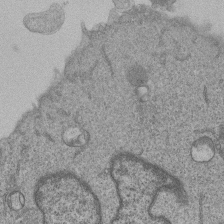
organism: Human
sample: MDA-MB-231 cells